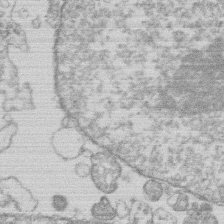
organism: Human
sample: Macrophage cells